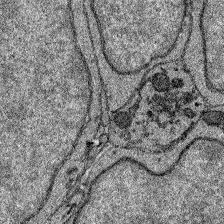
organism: Zebrafish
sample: Larval olfactory bulb